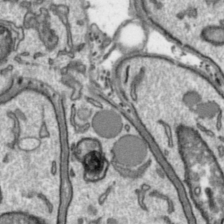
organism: Toxoplasma gondii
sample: Parasites in a vacuole inside a host cell